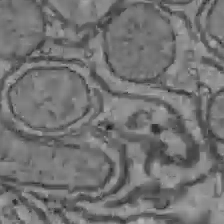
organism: C57BL Mouse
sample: Liver